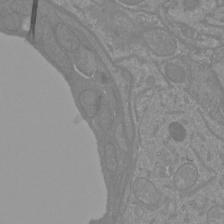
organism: Mouse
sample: Cortical neurons